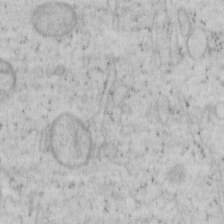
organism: Human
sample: HeLa cells